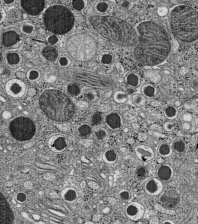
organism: C57BL Mouse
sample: Pancreatic islet